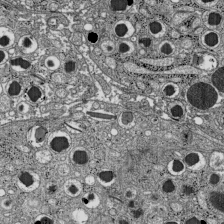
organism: C57BL Mouse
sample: Pancreatic islet